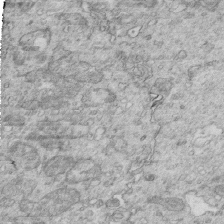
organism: Mouse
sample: Multiciliated cells